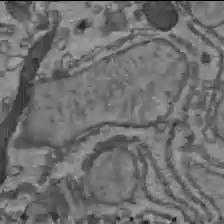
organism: C57BL Mouse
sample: Liver